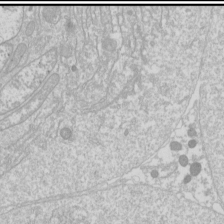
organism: Drosophila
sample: Cell division; meiosis; drosophila spermatocytes